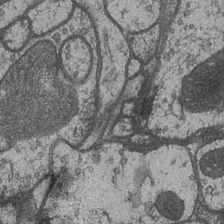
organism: Drosophila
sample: Optic medulla